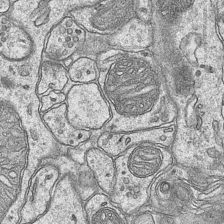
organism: Mouse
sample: CA1 Hippocampus